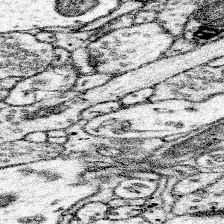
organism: Mouse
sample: Somatosensory cortex neuropil